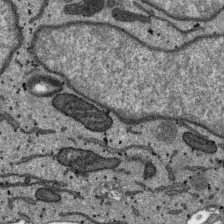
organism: Human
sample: Lung epithelial cells, uninfected (mock) control